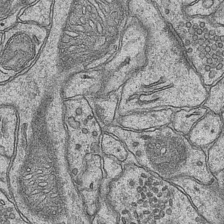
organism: Mouse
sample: CA1 Hippocampus